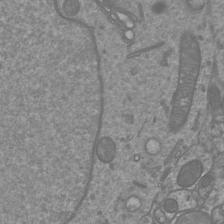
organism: Mouse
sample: Cortical neurons